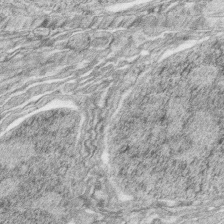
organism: Zebrafish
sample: synaptic ribbons in rod cells and cone cells